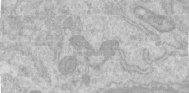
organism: Human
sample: Centriole in RPE cells